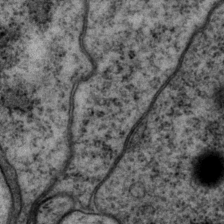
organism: P. pacificus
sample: Pharynx